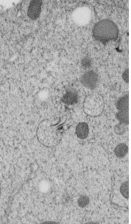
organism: C. elegans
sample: C. elegans embryo early stage